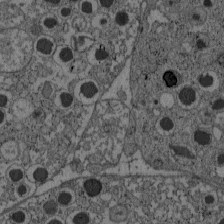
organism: C57BL Mouse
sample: Pancreatic islet